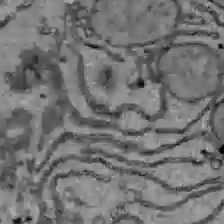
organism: C57BL Mouse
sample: Liver